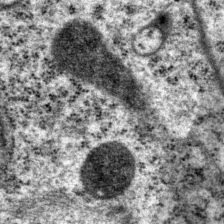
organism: P. pacificus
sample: Pharynx